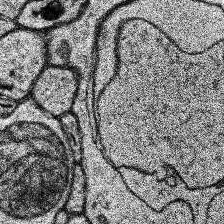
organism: Human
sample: Temporal Lobe